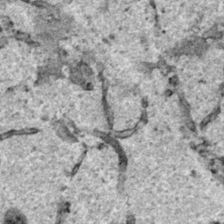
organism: Human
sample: Mitochondria in HCT116 cells